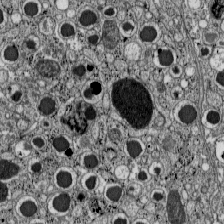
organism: C57BL Mouse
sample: Pancreatic islet